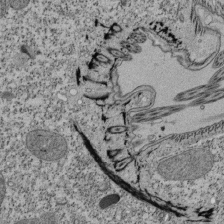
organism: Tetrahymena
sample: Cilia in tetrahymena